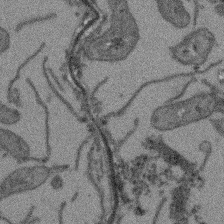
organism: Arabidopsis thaliana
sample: Root tip